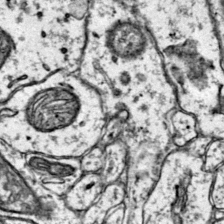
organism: Mouse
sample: Primary visual cortex